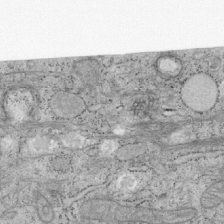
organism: Human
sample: HeLa cells